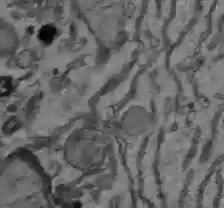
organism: C57BL Mouse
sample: Liver